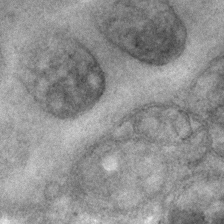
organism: C. elegans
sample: C. elegans embryo